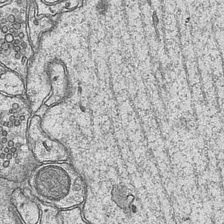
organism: Mouse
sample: CA1 Hippocampus